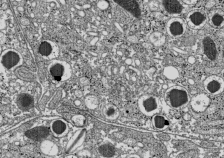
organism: C57BL Mouse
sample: Pancreatic islet